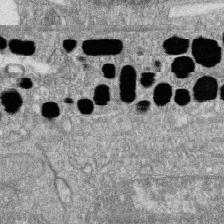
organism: Zebrafish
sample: Cilia; retinal pigment epithelium